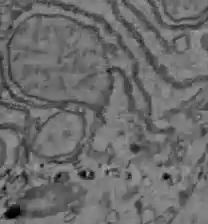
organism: C57BL Mouse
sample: Liver